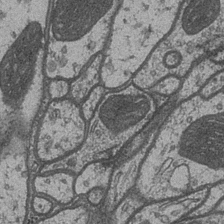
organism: Drosophila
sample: Optic medulla